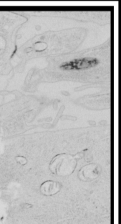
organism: Human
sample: Mitochondria in HCT116 cells